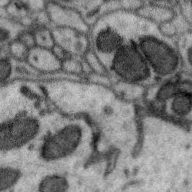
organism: Zebra finch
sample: Brain